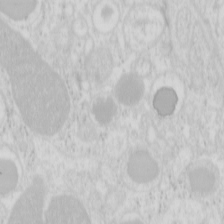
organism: Mouse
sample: Pancreas